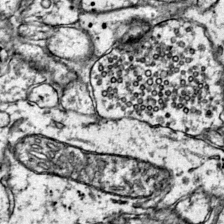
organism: Mouse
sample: Primary visual cortex